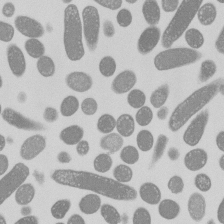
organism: E. coli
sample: Bacterial nucleoid